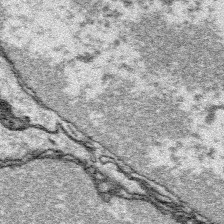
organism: Platynereis dumerilii